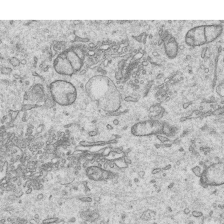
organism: Human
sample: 1205lu cells